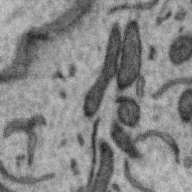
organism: Zebra finch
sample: Brain